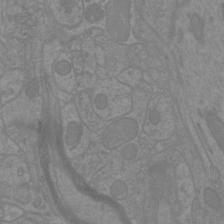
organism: Mouse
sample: Cortical neurons